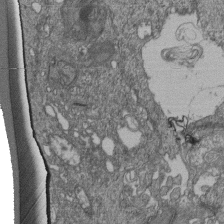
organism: Human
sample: Retinal organoid Rod and Cone cells